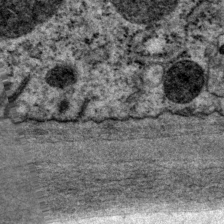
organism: P. pacificus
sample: Pharynx